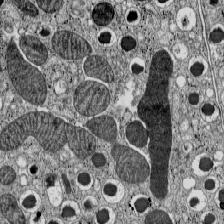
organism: C57BL Mouse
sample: Pancreatic islet